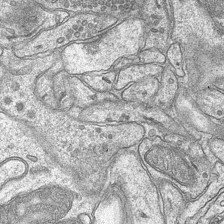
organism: Mouse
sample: CA1 Hippocampus